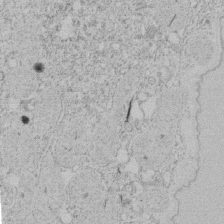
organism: Tetrahymena